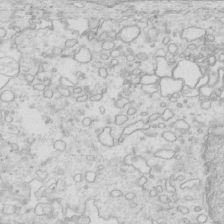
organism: Mouse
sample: Multiciliated cells